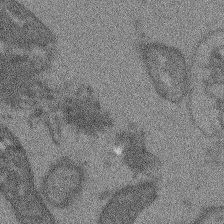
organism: Arabidopsis thaliana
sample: Root tip